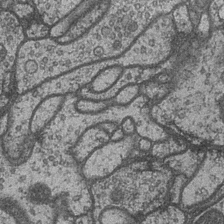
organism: Drosophila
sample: Optic medulla